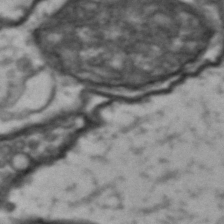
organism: Drosophila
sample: Brain